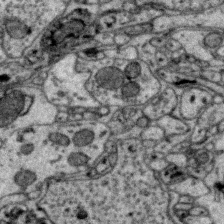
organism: Zebra finch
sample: Brain